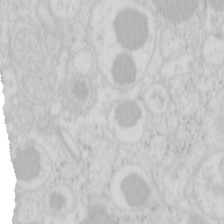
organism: Mouse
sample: Pancreas